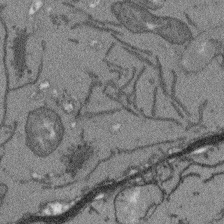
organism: Arabidopsis thaliana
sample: Root tip